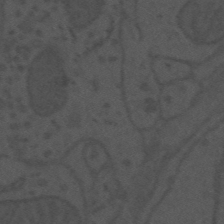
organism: Mouse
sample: Suprachiasmatic nucleus